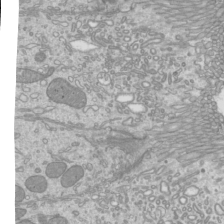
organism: Mouse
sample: Cilia; mouse epididymis